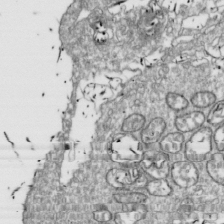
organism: Drosophila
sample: Cell division; meiosis; drosophila spermatocytes